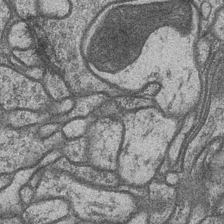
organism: Drosophila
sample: Optic medulla